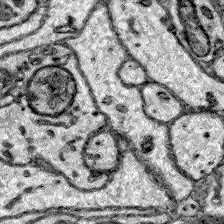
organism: Zebrafish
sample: Brain